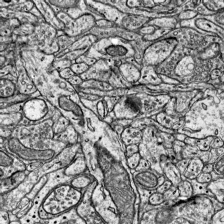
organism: Mouse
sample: Visual Cortex